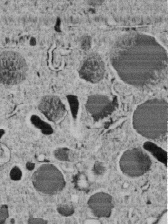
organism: C. elegans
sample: C. elegans embryo early stage